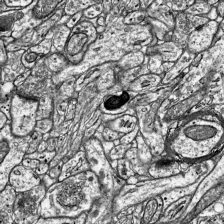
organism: Mouse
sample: Visual Cortex